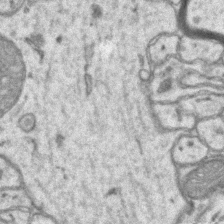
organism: Mouse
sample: CA1 Hippocampus